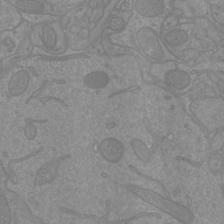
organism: Mouse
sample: Cortical neurons